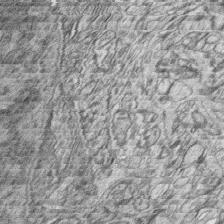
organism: Zebrafish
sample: synaptic ribbons in rod cells and cone cells